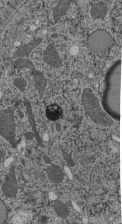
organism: C. elegans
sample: C. elegans pharynx